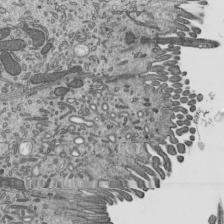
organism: Mouse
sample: Mouse epididymis efferent ductule cilia